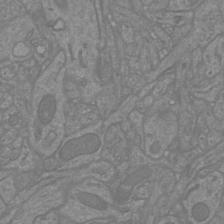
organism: Mouse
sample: Cortical neurons